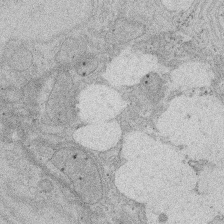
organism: Rat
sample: Salivary granule